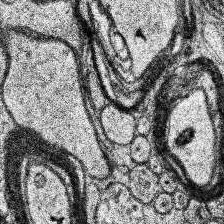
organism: Human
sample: Temporal Lobe